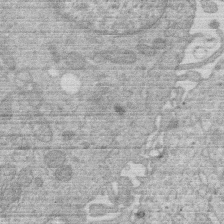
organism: Human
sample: Macrophage cells